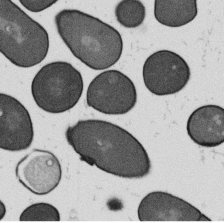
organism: B. subtilis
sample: Bacterial spore